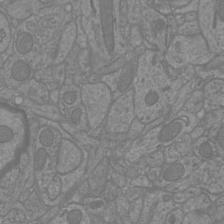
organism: Mouse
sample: Cortical neurons